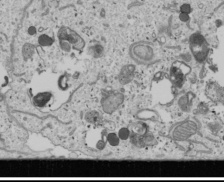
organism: Human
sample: Mitochondria in U2OS cells